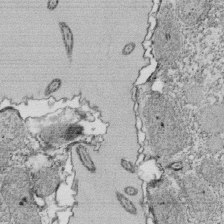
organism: Tetrahymena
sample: Cilia in tetrahymena